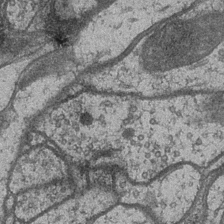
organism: Drosophila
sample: Optic medulla